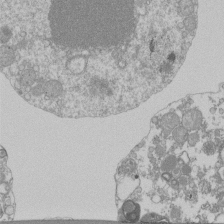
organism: Mouse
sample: Activated Pmel transgenic CD8+ T Cells